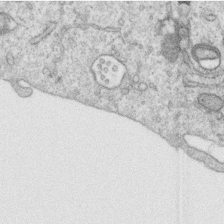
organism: Human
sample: Centriole in RPE cells